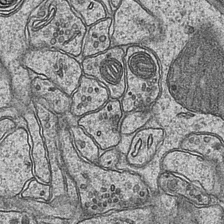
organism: Mouse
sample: CA1 Hippocampus